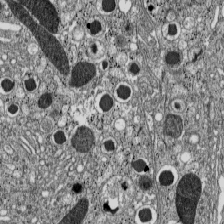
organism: C57BL Mouse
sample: Pancreatic islet